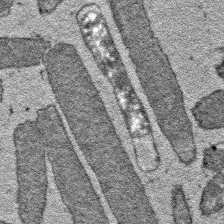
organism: E. coli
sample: E. Coli Bacteria